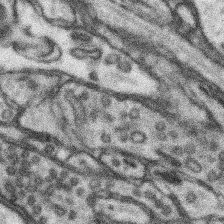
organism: Mouse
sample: Somatosensory cortex neuropil